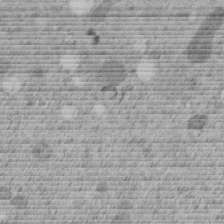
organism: C. elegans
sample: C. elegans embryo early stage